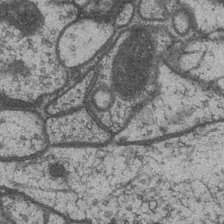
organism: Drosophila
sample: Optic medulla